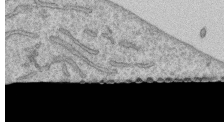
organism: Human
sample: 1205lu cells